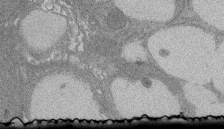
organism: Rat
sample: Salivary granule